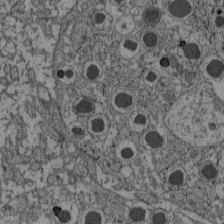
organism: C57BL Mouse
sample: Pancreatic islet